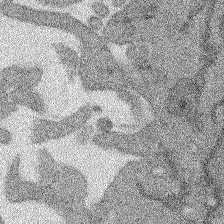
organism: Human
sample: HeLa cells